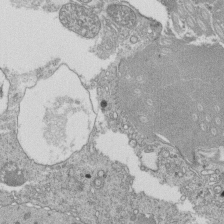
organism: Tetrahymena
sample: Cilia in tetrahymena